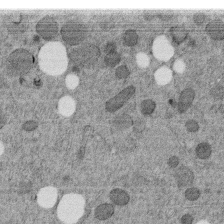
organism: C. elegans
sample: C. elegans embryo early stage